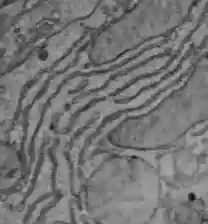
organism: C57BL Mouse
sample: Liver